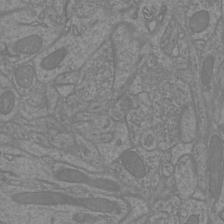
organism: Mouse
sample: Cortical neurons